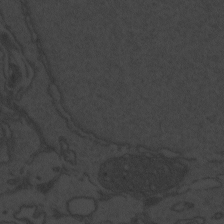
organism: Zebrafish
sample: Macrophage infected with Toxoplasma gondii